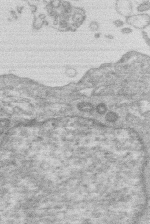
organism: Human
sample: Macrophage cells